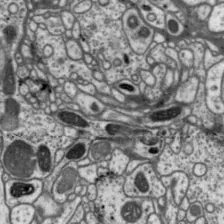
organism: Drosophila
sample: Protocerebral bridge